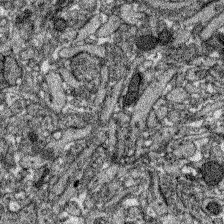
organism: Zebrafish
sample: Larval olfactory bulb